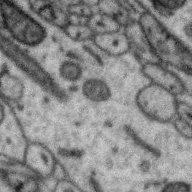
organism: Zebra finch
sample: Brain